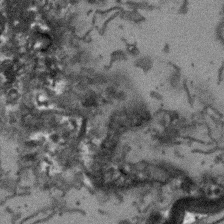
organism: Arabidopsis thaliana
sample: Root tip